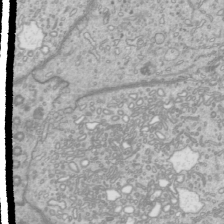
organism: Mouse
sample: Cilia; mouse epididymis